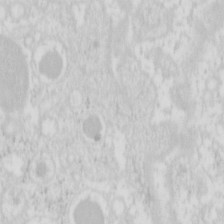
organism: Mouse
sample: Pancreas